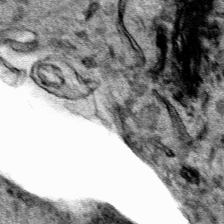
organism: Human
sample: Mitochondria in HCT116 cells